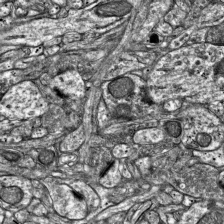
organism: Mouse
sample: Visual Cortex